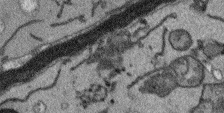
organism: Arabidopsis thaliana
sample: Root tip